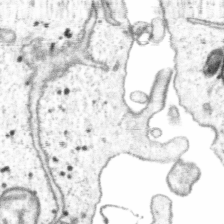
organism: Human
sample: HeLa cells